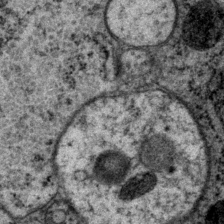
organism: P. pacificus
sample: Pharynx